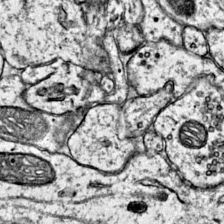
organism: Mouse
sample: Primary visual cortex